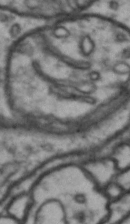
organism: Drosophila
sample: Brain